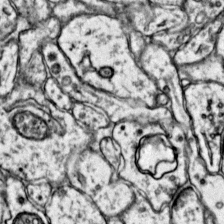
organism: Mouse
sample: Primary visual cortex